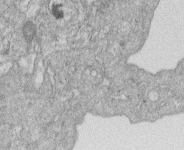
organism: Human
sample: Macrophage cells